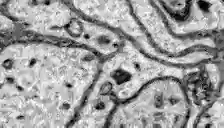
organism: Zebrafish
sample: Brain